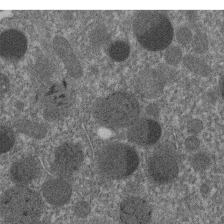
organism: C. elegans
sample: C. elegans embryo early stage